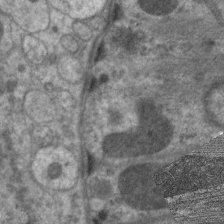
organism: C. elegans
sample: Pharynx